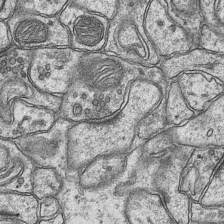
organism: Mouse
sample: CA1 Hippocampus